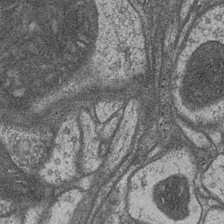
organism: Drosophila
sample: Optic medulla